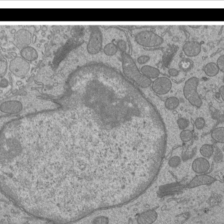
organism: Mouse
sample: Cilia; mouse epididymis